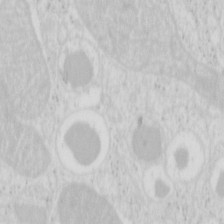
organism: Mouse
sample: Pancreas